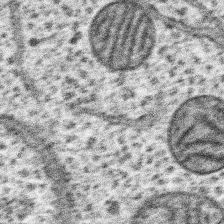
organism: Human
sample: HeLa cells